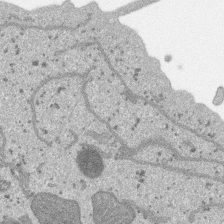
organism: Human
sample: Lung epithelial cells infected with SARS-CoV-2